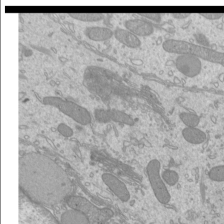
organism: Mouse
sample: Cilia; mouse epididymis